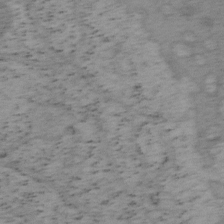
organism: Mouse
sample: OT-I killer T cells with ID8 ovarian cancer cells